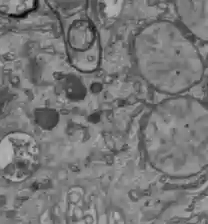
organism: C57BL Mouse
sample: Liver